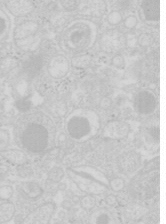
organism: Mouse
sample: Pancreas